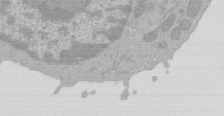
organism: Mouse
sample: Activated Pmel transgenic CD8+ T Cells